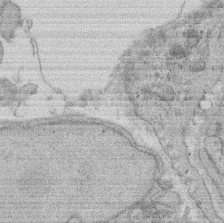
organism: Rat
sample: Salivary granule